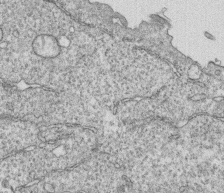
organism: Human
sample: HeLa cell HIV synapse